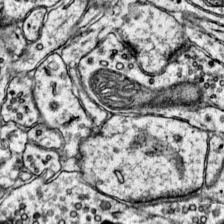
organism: Mouse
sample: Primary visual cortex